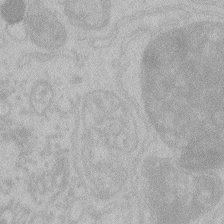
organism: Zebrafish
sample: Macrophage infected with Toxoplasma gondii